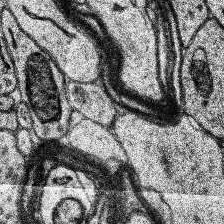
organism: Human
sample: Temporal Lobe